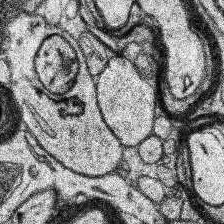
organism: Human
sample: Temporal Lobe